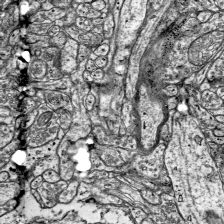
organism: Mouse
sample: Visual Cortex